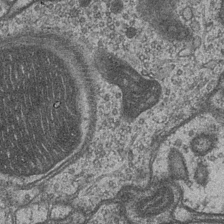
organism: Drosophila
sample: Optic medulla